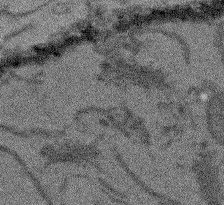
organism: Arabidopsis thaliana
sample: Root tip